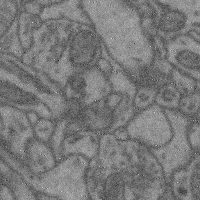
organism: Mouse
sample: Cerebral cortex